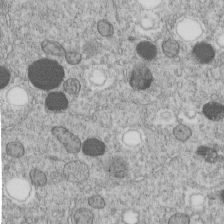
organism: C. elegans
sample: C. elegans embryo early stage